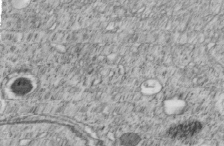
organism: C. elegans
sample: C. elegans embryo early stage